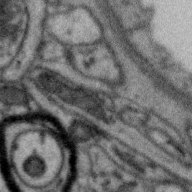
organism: Zebra finch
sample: Brain